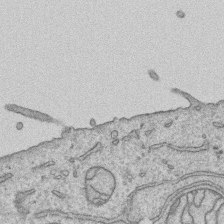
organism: Human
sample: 1205lu cells